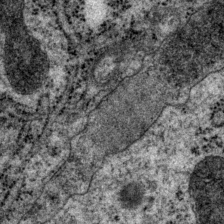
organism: P. pacificus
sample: Pharynx